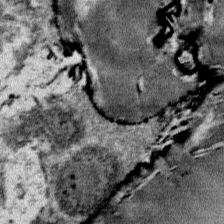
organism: Mouse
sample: Mouse Salivary gland